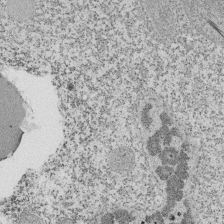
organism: Tetrahymena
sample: Cilia in tetrahymena